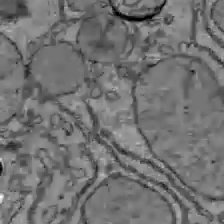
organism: C57BL Mouse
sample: Liver